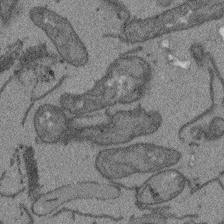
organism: Arabidopsis thaliana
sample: Root tip